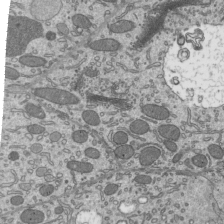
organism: Mouse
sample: Mouse epididymis efferent ductule cilia